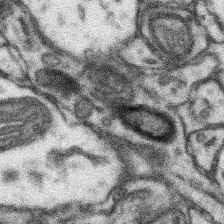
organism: Mouse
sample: Somatosensory cortex neuropil